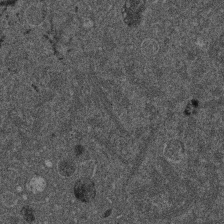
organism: Mouse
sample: Dividing mouse embryo 1 cell stage